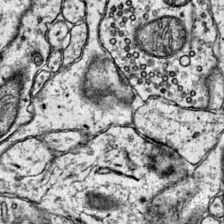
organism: Mouse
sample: Primary visual cortex